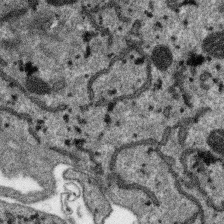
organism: Human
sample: Lung epithelial cells infected with SARS-CoV-2